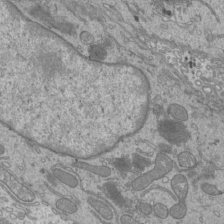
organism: Mouse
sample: Cilia; mouse epididymis